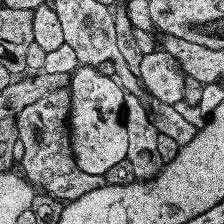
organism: Human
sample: Temporal Lobe